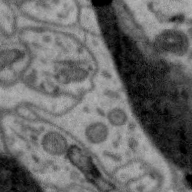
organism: Zebra finch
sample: Brain